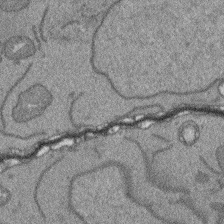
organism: Arabidopsis thaliana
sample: Root tip